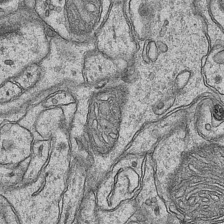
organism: Mouse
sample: CA1 Hippocampus